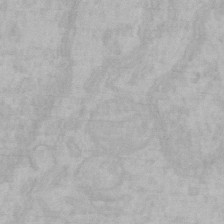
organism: Mouse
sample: Choroid plexus